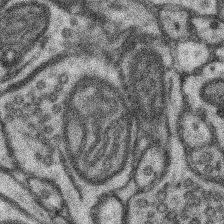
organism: Mouse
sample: Somatosensory cortex neuropil